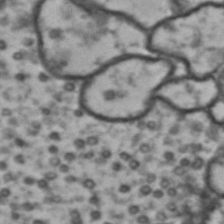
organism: Drosophila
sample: Brain